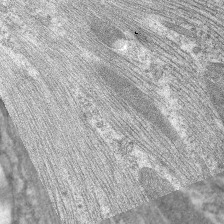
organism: C. elegans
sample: Pharynx